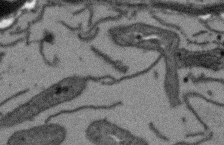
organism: Arabidopsis thaliana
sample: Root tip